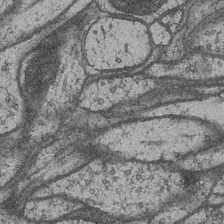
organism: Drosophila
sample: Optic medulla